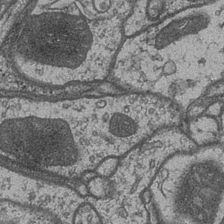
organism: Drosophila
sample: Optic medulla